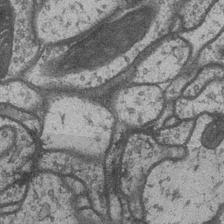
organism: Drosophila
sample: Optic medulla